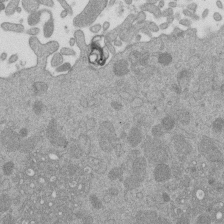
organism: Mouse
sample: Dividing mouse embryo 1 cell stage